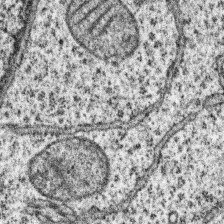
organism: Human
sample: HeLa cells